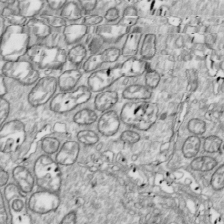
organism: Drosophila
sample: Cell division; meiosis; drosophila spermatocytes